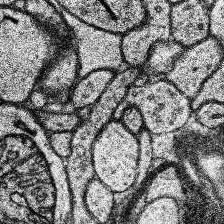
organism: Human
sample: Temporal Lobe